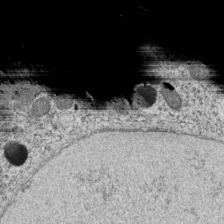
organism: C. elegans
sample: C. elegans embryo early stage